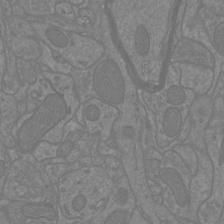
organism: Mouse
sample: Cortical neurons